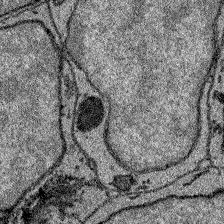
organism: Zebrafish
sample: Larval olfactory bulb